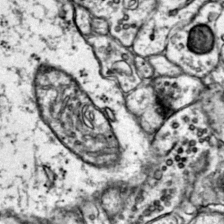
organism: Mouse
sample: Primary visual cortex